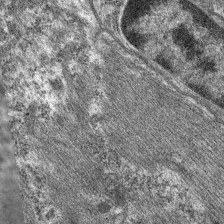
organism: C. elegans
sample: Pharynx